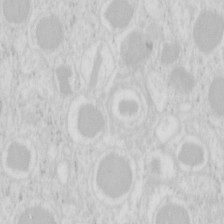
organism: Mouse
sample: Pancreas